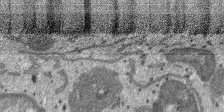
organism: Human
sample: Lung epithelial cells infected with SARS-CoV-2